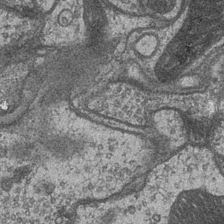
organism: Drosophila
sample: Optic medulla